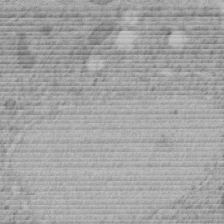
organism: C. elegans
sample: C. elegans embryo early stage